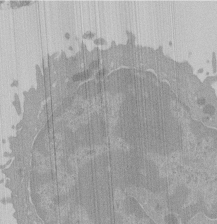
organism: Mouse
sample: Activated Pmel transgenic CD8+ T Cells